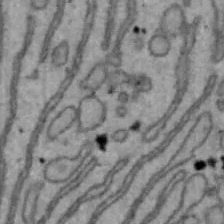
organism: Mouse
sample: Liver